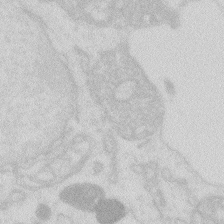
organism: Zebrafish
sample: Macrophage